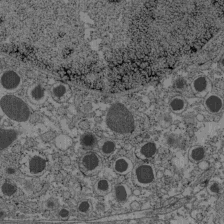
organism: C57BL Mouse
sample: Pancreatic islet